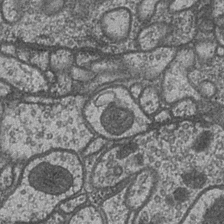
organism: Drosophila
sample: Optic medulla